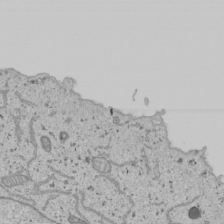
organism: Human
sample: Mitochondria in U2OS cells